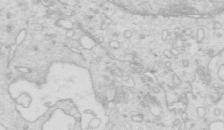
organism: Mouse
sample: Multiciliated cells